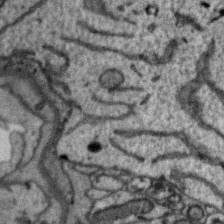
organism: Zebra finch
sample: Brain